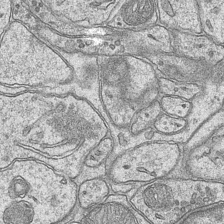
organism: Mouse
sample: CA1 Hippocampus